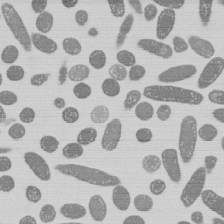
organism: E. coli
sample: Bacterial nucleoid